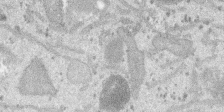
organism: Human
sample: Lung epithelial cells infected with SARS-CoV-2